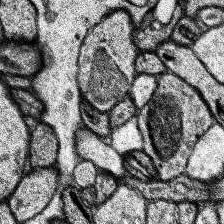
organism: Human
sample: Temporal Lobe